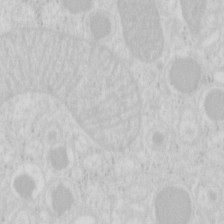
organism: Mouse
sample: Pancreas